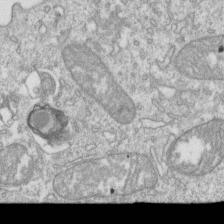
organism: Mouse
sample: Activated OT-1 CD8+ T cells